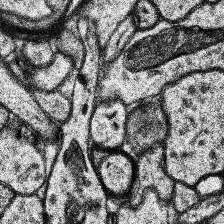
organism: Human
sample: Temporal Lobe